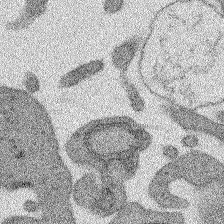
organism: Human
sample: HeLa cells